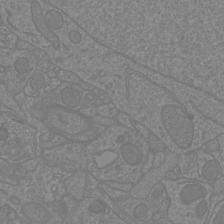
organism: Mouse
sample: Cortical neurons